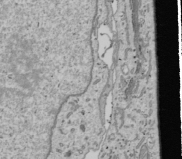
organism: Human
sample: Mitochondria in U2OS cells